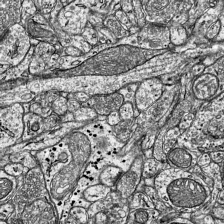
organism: Mouse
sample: Visual Cortex